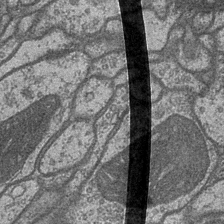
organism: Drosophila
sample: Optic medulla